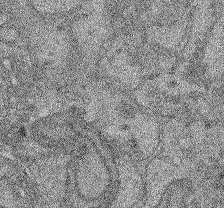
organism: Human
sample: HeLa cells